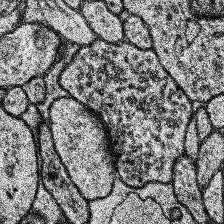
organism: Human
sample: Temporal Lobe